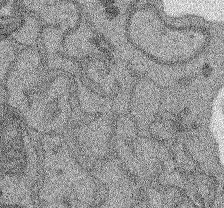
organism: Human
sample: HeLa cells